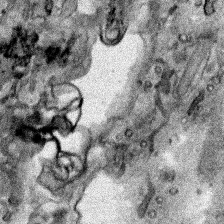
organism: Human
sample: Mitochondria in HCT116 cells